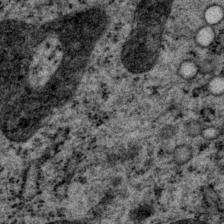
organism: P. pacificus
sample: Pharynx